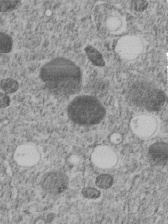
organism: C. elegans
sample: C. elegans embryo early stage